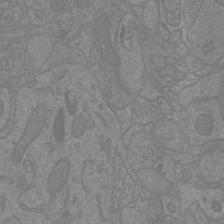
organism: Mouse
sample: Cortical neurons